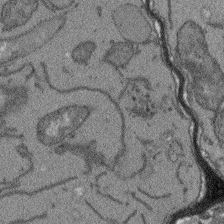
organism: Arabidopsis thaliana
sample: Root tip